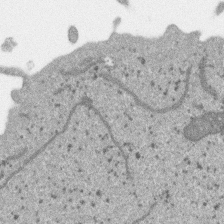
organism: Human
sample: Lung epithelial cells infected with SARS-CoV-2